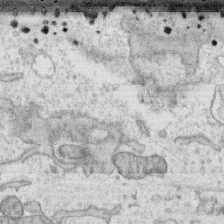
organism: Human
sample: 1205lu cells